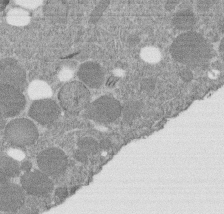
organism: C. elegans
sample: C. elegans embryo early stage